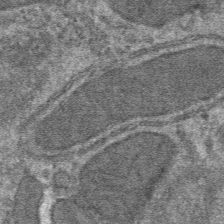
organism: Mouse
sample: Mouse hepatocytes